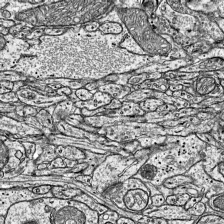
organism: Mouse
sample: Visual Cortex